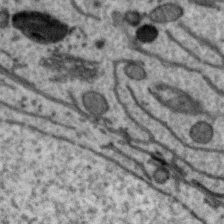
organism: Zebra finch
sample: Brain